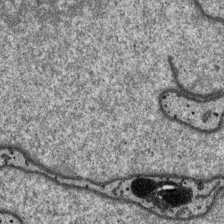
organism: Human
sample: Lung epithelial cells, uninfected (mock) control